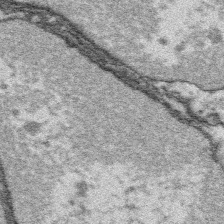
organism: Platynereis dumerilii